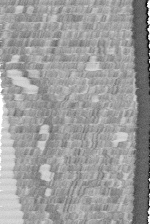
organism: Human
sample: Centriole in fibroblast cells